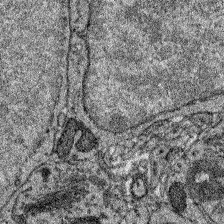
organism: Zebrafish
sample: Larval olfactory bulb